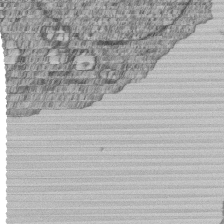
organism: Human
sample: MDA-MB-231 cells